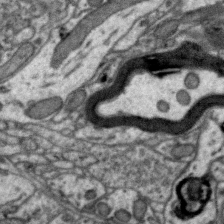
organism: Zebra finch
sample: Brain